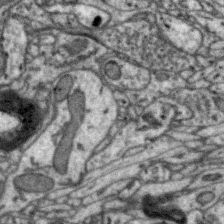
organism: Zebra finch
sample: Brain